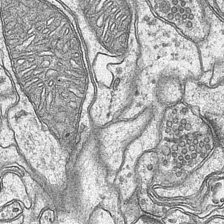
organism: Mouse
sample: CA1 Hippocampus